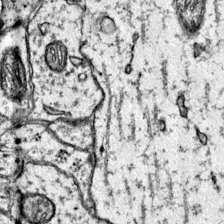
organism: Mouse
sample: Primary visual cortex